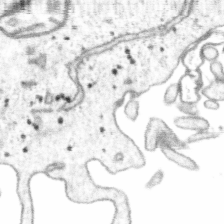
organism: Human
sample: HeLa cells